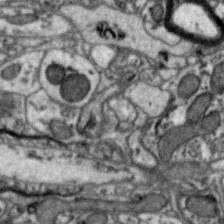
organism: Zebra finch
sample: Brain